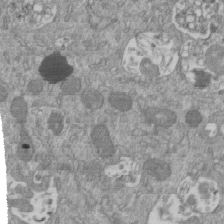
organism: Mouse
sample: ED-1 cell nuclei; centrioles